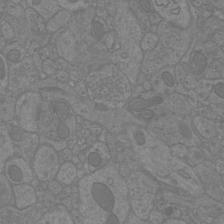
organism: Mouse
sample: Cortical neurons